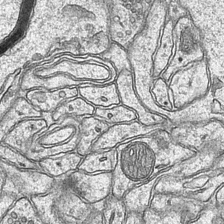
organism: Mouse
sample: CA1 Hippocampus